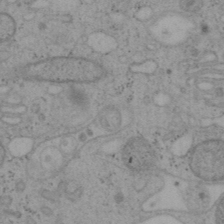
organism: Mouse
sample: OT-I killer T cells with ID8 ovarian cancer cells